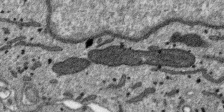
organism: Human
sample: Lung epithelial cells, uninfected (mock) control